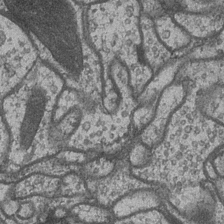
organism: Drosophila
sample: Optic medulla